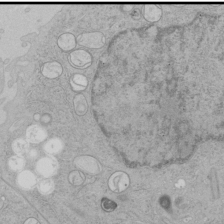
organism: Human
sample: Mitochondria in HCT116 cells